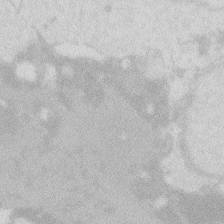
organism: Zebrafish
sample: Macrophage